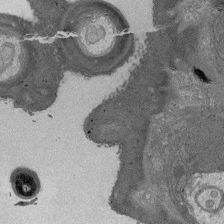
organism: Drosophila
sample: Antenna